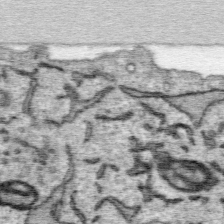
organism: Human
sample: HeLa cells